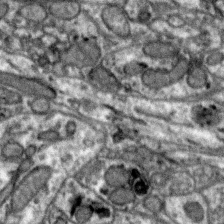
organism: Zebra finch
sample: Brain